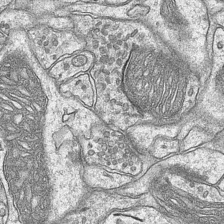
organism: Mouse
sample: CA1 Hippocampus